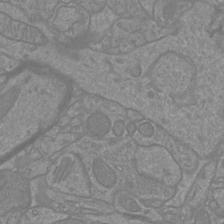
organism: Mouse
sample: Cortical neurons